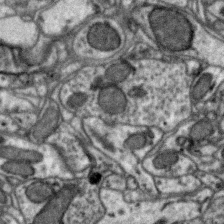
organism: Zebra finch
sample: Brain